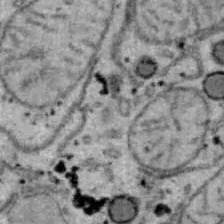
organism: Mouse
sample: Liver from an obese (ob/ob) mouse